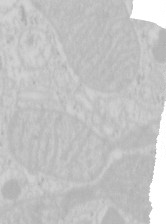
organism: Mouse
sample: Pancreas